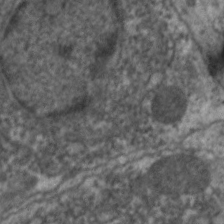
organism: C. elegans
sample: Pharynx